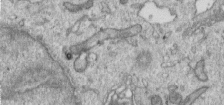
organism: Human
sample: Centriole in RPE cells